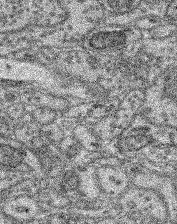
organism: Mouse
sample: Retina